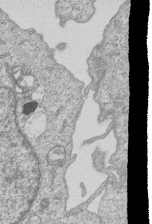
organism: Human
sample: MDA-MB-231 cells